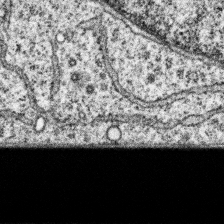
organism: Human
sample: HeLa cells